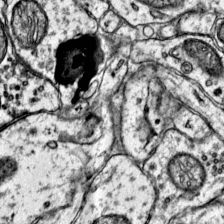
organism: Mouse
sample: Primary visual cortex